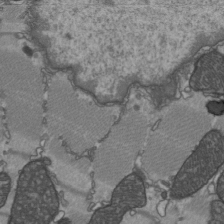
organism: C57BL Mouse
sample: Heart